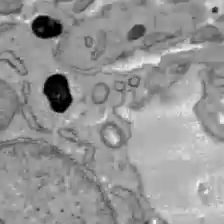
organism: C57BL Mouse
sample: Liver